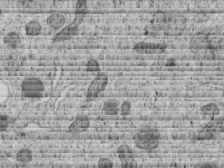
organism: C. elegans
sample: C. elegans embryo early stage